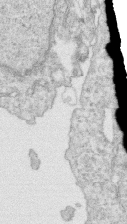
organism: Human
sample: HeLa cell HIV synapse